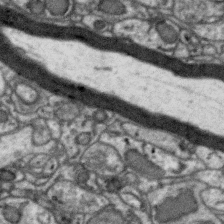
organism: Zebra finch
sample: Brain